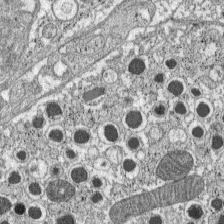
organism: C57BL Mouse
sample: Pancreatic islet